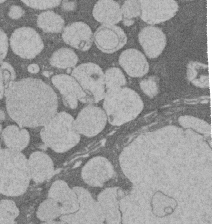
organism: Rat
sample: Salivary granule